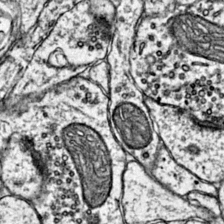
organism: Mouse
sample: Primary visual cortex